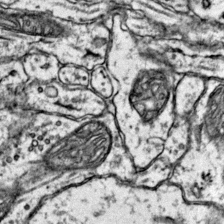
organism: Mouse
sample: Primary visual cortex